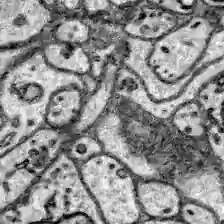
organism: Zebrafish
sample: Brain